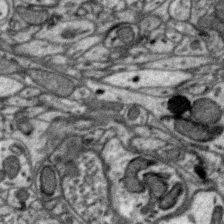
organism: Zebra finch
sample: Brain